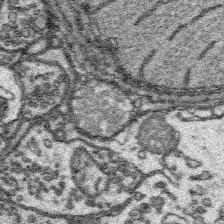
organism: Platynereis dumerilii